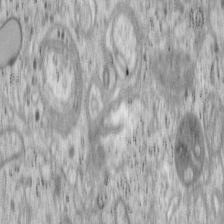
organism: Human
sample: HeLa cells